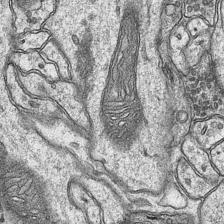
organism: Mouse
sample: CA1 Hippocampus